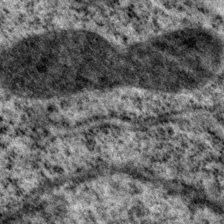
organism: P. pacificus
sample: Pharynx